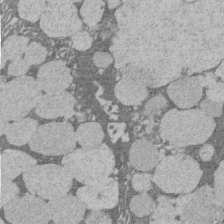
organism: Rat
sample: Salivary granule